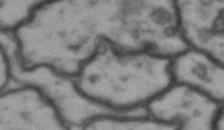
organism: Drosophila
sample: Brain